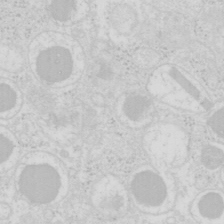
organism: Mouse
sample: Pancreas